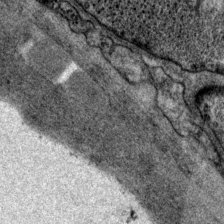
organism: P. pacificus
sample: Pharynx